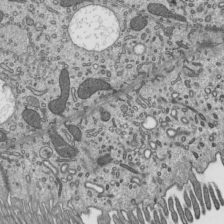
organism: Mouse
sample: Mouse epididymis efferent ductule cilia